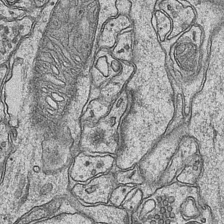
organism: Mouse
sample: CA1 Hippocampus